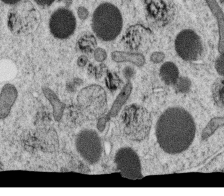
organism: C. elegans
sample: C. elegans oocyte; sperm cells